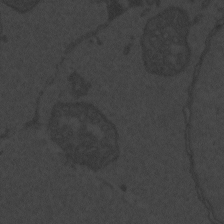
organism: Zebrafish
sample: Macrophage infected with Toxoplasma gondii